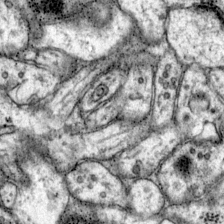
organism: Mouse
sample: Primary visual cortex